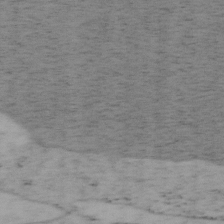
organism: Mouse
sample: OT-I killer T cells with ID8 ovarian cancer cells